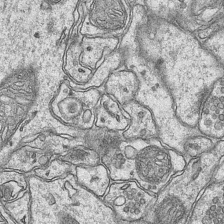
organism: Mouse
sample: CA1 Hippocampus